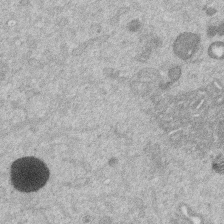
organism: Mouse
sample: Dividing mouse embryo 1 cell stage